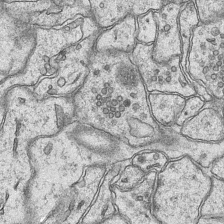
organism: Mouse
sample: CA1 Hippocampus